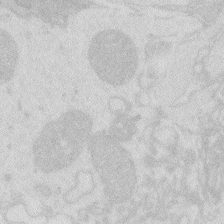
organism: Zebrafish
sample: Macrophage